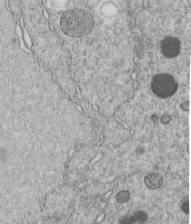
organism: C. elegans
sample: C. elegans embryo early stage